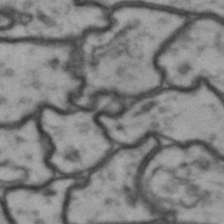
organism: Drosophila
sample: Brain